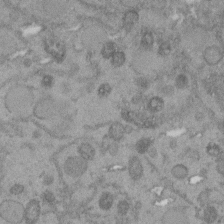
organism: C. elegans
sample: C. elegans embryo early stage